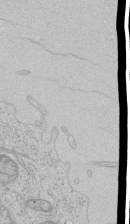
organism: Human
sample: Mitochondria in HCT116 cells